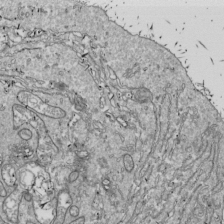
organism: Drosophila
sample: Cell division; meiosis; drosophila spermatocytes